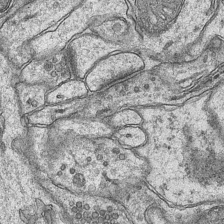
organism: Mouse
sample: CA1 Hippocampus